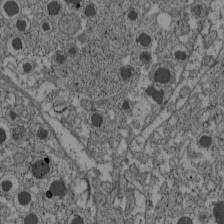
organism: C57BL Mouse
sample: Pancreatic islet